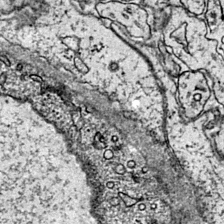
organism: Mouse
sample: Primary visual cortex